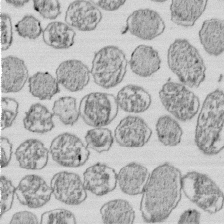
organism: E. coli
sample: Bacterial nucleoid